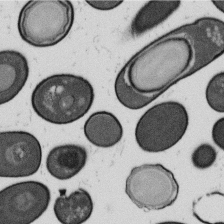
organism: B. subtilis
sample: Bacterial spore